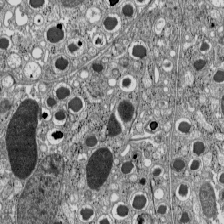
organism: C57BL Mouse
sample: Pancreatic islet